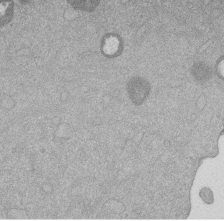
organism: Mouse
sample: Dividing mouse embryo 1 cell stage